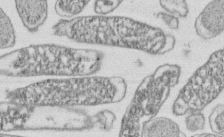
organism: E. coli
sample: Bacterial nucleoid